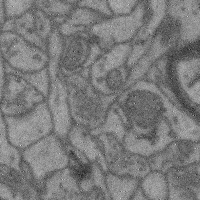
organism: Mouse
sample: Cerebral cortex